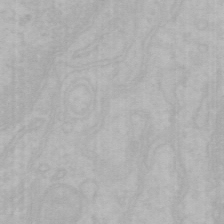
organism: Mouse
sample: Choroid plexus